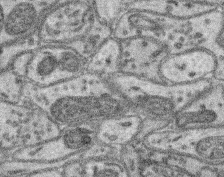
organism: Mouse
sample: Retina